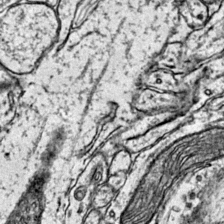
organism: Mouse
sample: Primary visual cortex